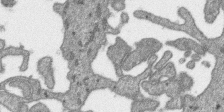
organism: Human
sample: Lung epithelial cells infected with SARS-CoV-2